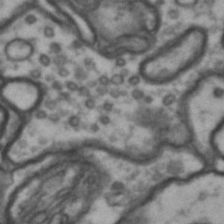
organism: Drosophila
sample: Brain